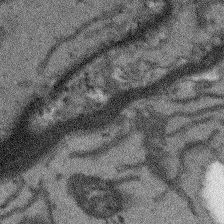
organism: Arabidopsis thaliana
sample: Root tip